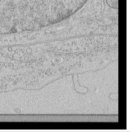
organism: Human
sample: Mitochondria in HCT116 cells